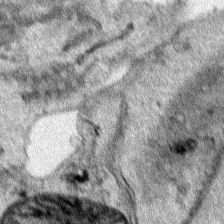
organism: Human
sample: Mitochondria in HCT116 cells